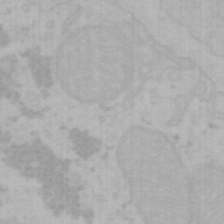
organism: Mouse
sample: Choroid plexus